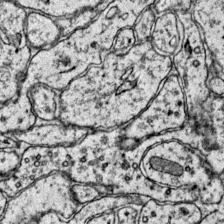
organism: Mouse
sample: Primary visual cortex